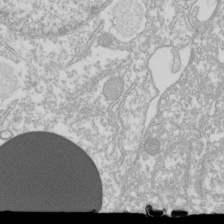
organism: Xenopus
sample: Cilia; centrioles in frog embryo cells